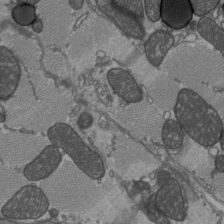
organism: C57BL Mouse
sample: Heart